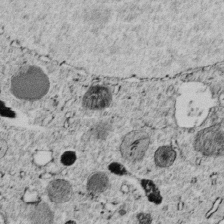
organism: C. elegans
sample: C. elegans embryo early stage